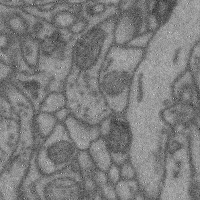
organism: Mouse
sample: Cerebral cortex